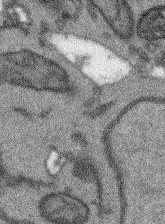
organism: Arabidopsis thaliana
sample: Root tip